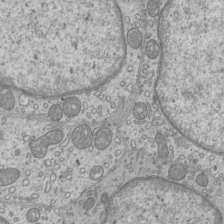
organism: Mouse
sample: Cilia; mouse epididymis